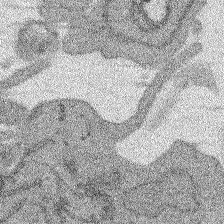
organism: Human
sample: HeLa cells